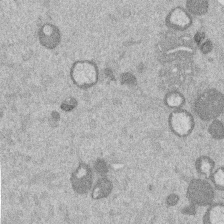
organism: Mouse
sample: Dividing mouse embryo 1 cell stage